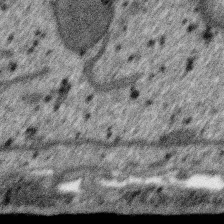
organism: Human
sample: Lung epithelial cells infected with SARS-CoV-2